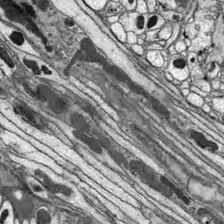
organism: Drosophila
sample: Optic lobe